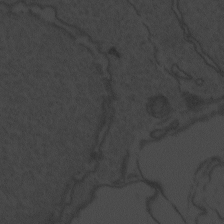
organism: Zebrafish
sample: Macrophage infected with Toxoplasma gondii